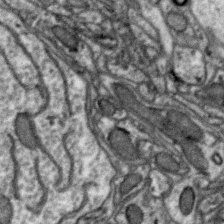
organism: Zebra finch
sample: Brain